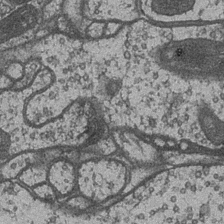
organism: Drosophila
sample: Optic medulla